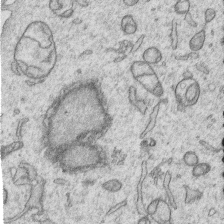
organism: Human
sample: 1205lu cells